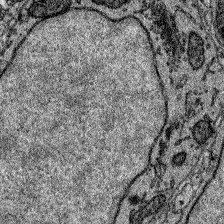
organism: Zebrafish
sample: Larval olfactory bulb